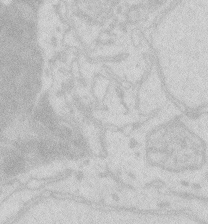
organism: Zebrafish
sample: Macrophage